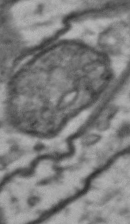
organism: Drosophila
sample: Brain